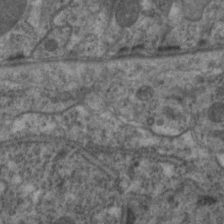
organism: C. elegans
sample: Pharynx